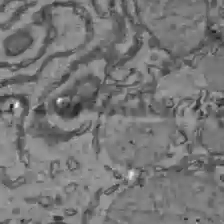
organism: C57BL Mouse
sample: Liver